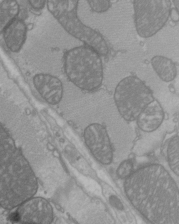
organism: C57BL Mouse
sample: Heart